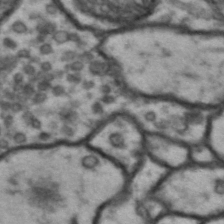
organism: Drosophila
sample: Brain